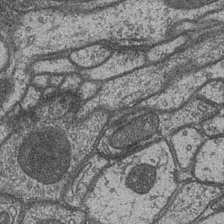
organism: Drosophila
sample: Optic medulla